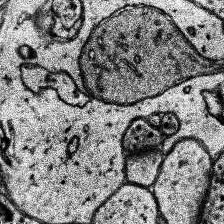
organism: Human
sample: Temporal Lobe